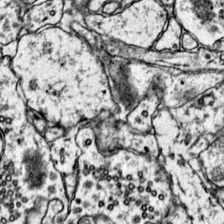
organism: Mouse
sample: Primary visual cortex